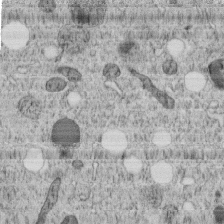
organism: C. elegans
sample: C. elegans embryo early stage